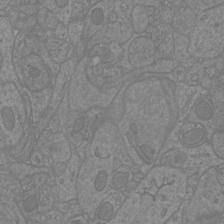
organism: Mouse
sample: Cortical neurons